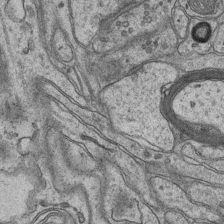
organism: Mouse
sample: CA1 Hippocampus